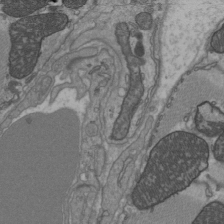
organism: C57BL Mouse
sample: Heart